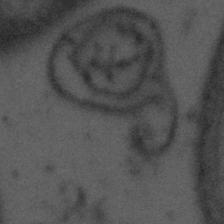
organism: Tuwongella immobilis